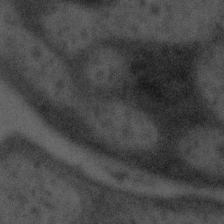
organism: Tuwongella immobilis